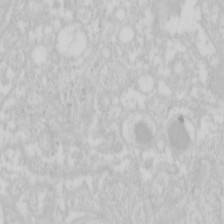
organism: Mouse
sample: Pancreas